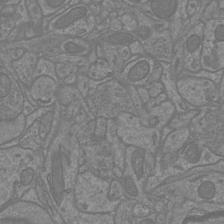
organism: Mouse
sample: Cortical neurons